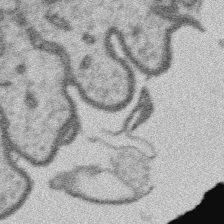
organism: Platynereis dumerilii